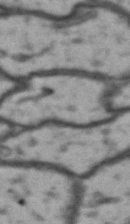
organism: Drosophila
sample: Brain